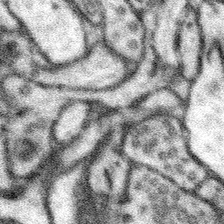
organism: Mouse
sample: Somatosensory cortex neuropil